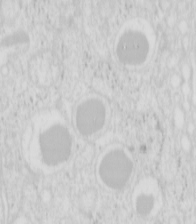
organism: Mouse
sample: Pancreas